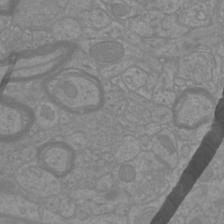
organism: Mouse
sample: Cortical neurons